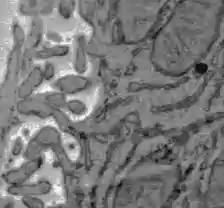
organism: C57BL Mouse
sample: Liver